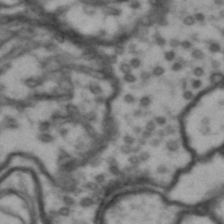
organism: Drosophila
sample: Brain